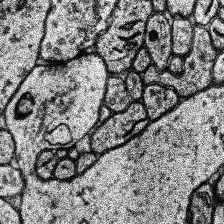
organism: Human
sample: Temporal Lobe